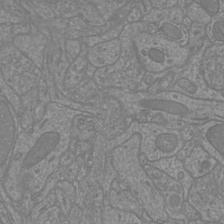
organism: Mouse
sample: Cortical neurons